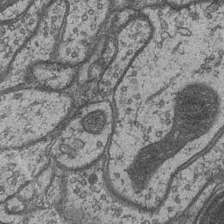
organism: Drosophila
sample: Optic medulla